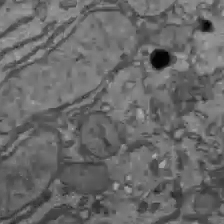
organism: C57BL Mouse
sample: Liver